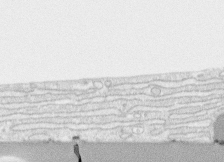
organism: Human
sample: CRL-1474